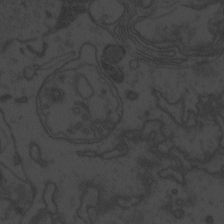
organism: Zebrafish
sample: Macrophage infected with Toxoplasma gondii